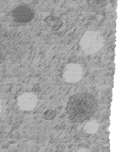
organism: C. elegans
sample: C. elegans embryo early stage